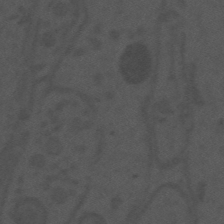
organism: Mouse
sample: Suprachiasmatic nucleus